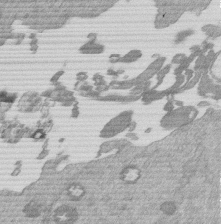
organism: Mouse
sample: Dividing mouse embryo 1 cell stage